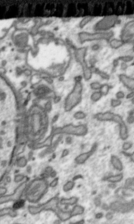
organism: Toxoplasma gondii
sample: Parasites in a vacuole inside a host cell